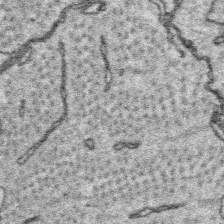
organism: Platynereis dumerilii